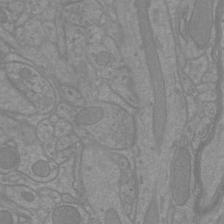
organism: Mouse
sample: Cortical neurons